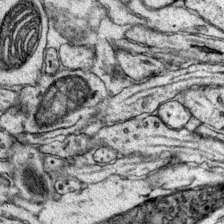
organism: Mouse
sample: Primary visual cortex